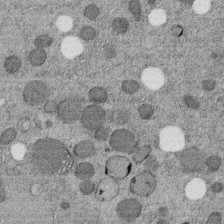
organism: C. elegans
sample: C. elegans embryo early stage